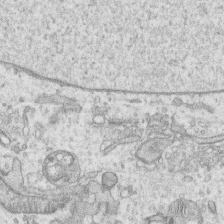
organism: Human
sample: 1205lu cells